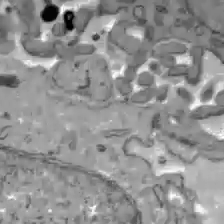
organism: C57BL Mouse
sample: Liver